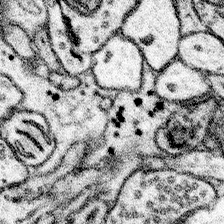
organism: Mouse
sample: Somatosensory cortex neuropil